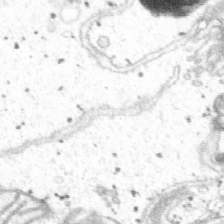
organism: Human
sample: HeLa cells